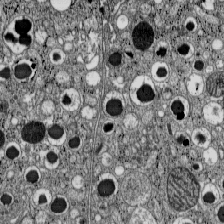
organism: C57BL Mouse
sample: Pancreatic islet